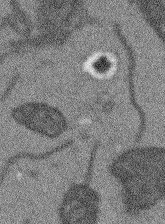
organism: Arabidopsis thaliana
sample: Root tip